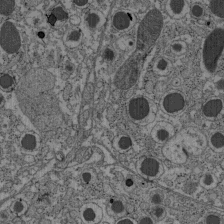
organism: C57BL Mouse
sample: Pancreatic islet